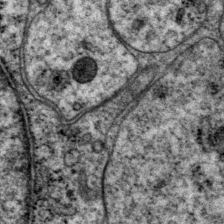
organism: P. pacificus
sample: Pharynx